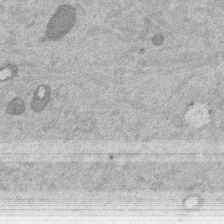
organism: Mouse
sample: Dividing mouse embryo 1 cell stage